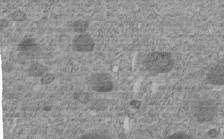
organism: C. elegans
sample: C. elegans embryo early stage